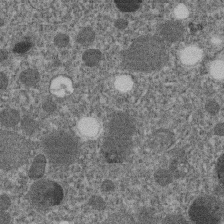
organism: C. elegans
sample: C. elegans embryo early stage